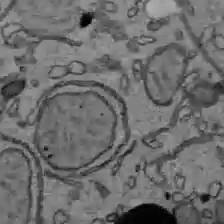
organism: C57BL Mouse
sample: Liver